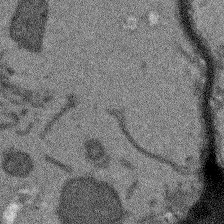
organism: Arabidopsis thaliana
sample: Root tip